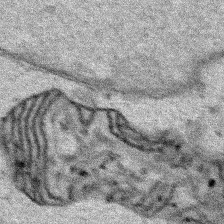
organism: Human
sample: Mitochondria in HCT116 cells